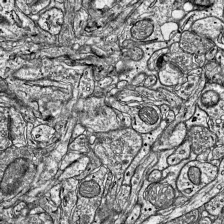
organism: Mouse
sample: Visual Cortex